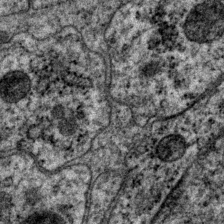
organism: P. pacificus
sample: Pharynx